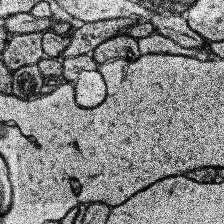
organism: Human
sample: Temporal Lobe